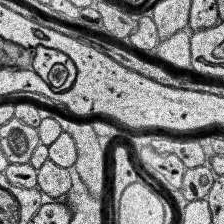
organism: Human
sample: Temporal Lobe